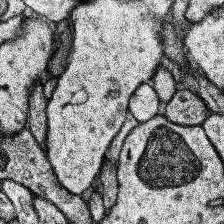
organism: Human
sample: Temporal Lobe